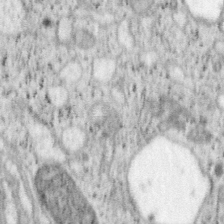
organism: Mouse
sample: OT-I killer T cells with ID8 ovarian cancer cells